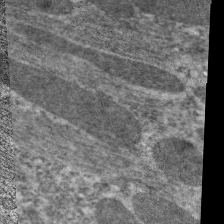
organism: C. elegans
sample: Pharynx